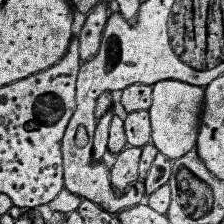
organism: Human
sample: Temporal Lobe